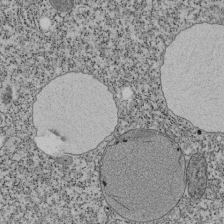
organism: Tetrahymena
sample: Cilia in tetrahymena